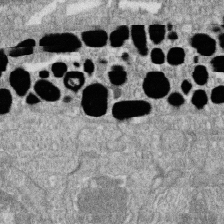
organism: Zebrafish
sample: Cilia; retinal pigment epithelium